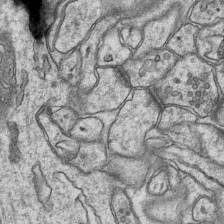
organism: Mouse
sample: CA1 Hippocampus